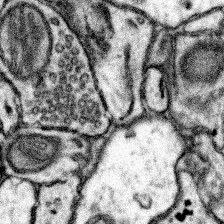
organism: Mouse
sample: Somatosensory cortex neuropil